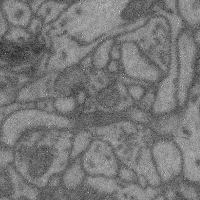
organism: Mouse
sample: Cerebral cortex